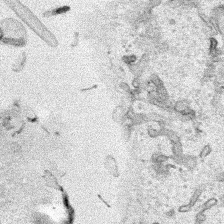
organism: Human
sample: Mitochondria in HCT116 cells